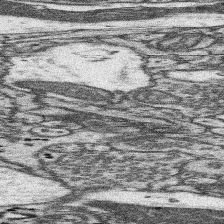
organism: Mouse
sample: Somatosensory cortex neuropil